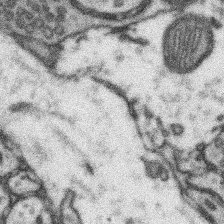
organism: Mouse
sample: Somatosensory cortex neuropil